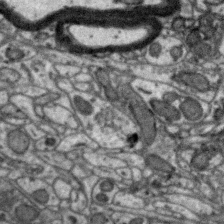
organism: Zebra finch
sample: Brain